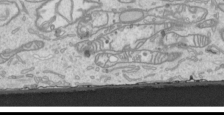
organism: Human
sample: Mitochondria in HCT116 cells